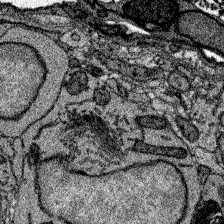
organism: Zebrafish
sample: Larval olfactory bulb